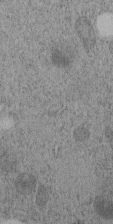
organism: C. elegans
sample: C. elegans embryo early stage